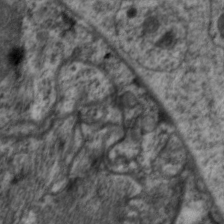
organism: C. elegans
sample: Pharynx